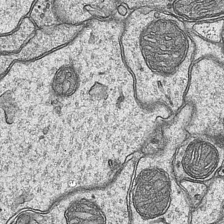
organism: Mouse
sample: CA1 Hippocampus